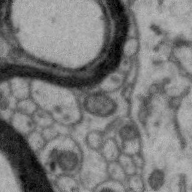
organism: Zebra finch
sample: Brain